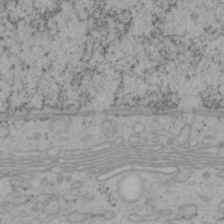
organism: Human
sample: HeLa cells